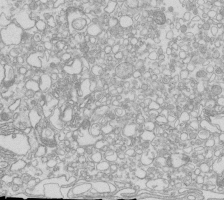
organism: Mouse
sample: Macrophages